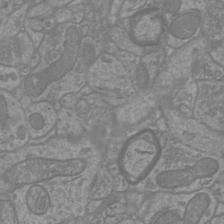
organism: Mouse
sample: Cortical neurons